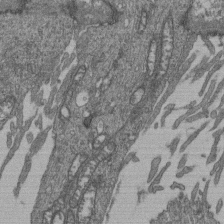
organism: Human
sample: Retinal organoid Rod and Cone cells